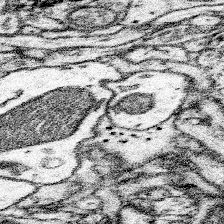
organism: Mouse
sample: Somatosensory cortex neuropil